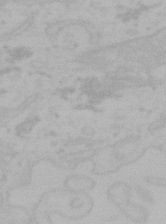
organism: Mouse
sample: Choroid plexus